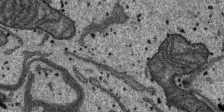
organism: Human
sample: Lung epithelial cells, uninfected (mock) control